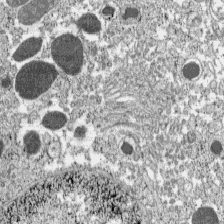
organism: C57BL Mouse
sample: Pancreatic islet